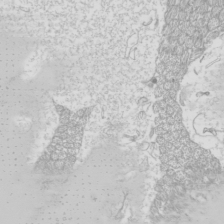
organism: Mouse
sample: Cilia; mouse epididymis